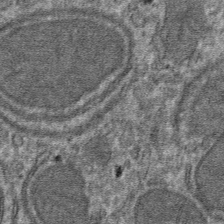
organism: Mouse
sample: Mouse hepatocytes